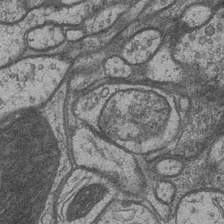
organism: Drosophila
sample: Optic medulla